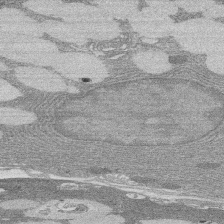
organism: Rat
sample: Salivary granule